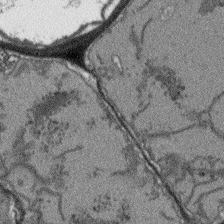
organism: Arabidopsis thaliana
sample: Root tip